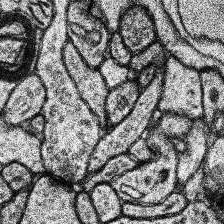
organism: Human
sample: Temporal Lobe